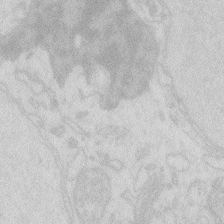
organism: Zebrafish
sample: Macrophage